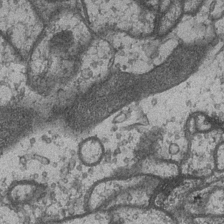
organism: Drosophila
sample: Optic medulla